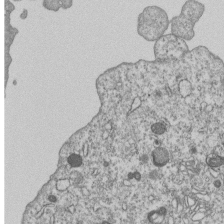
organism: Human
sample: MDA-MB-231 cells